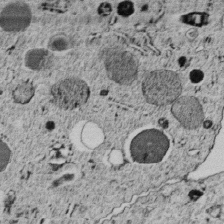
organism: C. elegans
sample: C. elegans embryo early stage